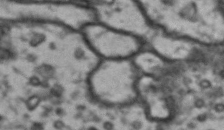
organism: Drosophila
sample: Brain